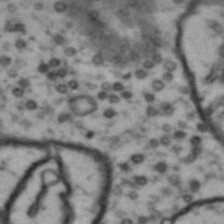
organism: Drosophila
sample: Brain